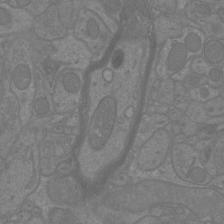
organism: Mouse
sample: Cortical neurons